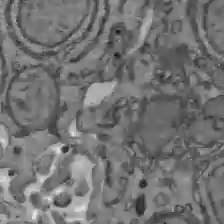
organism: C57BL Mouse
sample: Liver